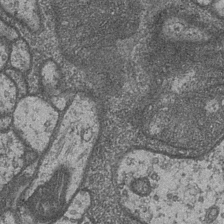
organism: Drosophila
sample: Optic medulla